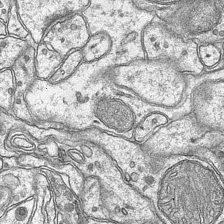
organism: Mouse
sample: CA1 Hippocampus